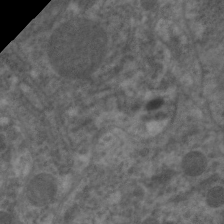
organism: C. elegans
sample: Pharynx